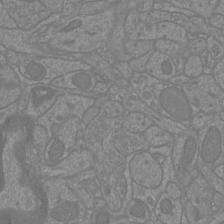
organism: Mouse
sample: Cortical neurons